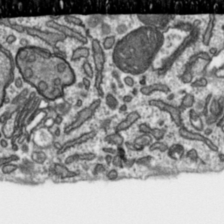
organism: Toxoplasma gondii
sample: Parasites in a vacuole inside a host cell